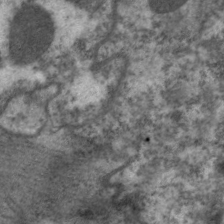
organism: C. elegans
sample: Pharynx